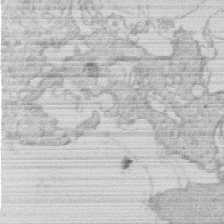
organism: Human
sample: Macrophage cells